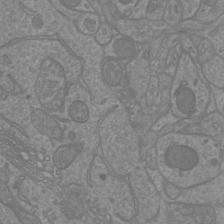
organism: Mouse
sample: Cortical neurons